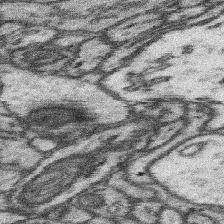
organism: Mouse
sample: Somatosensory cortex neuropil